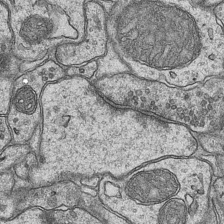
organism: Mouse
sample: CA1 Hippocampus